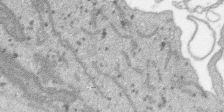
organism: Human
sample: Lung epithelial cells infected with SARS-CoV-2